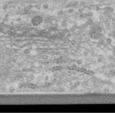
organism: Human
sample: Centriole in RPE cells